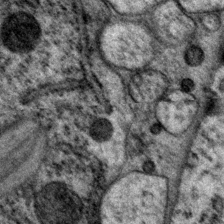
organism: P. pacificus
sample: Pharynx